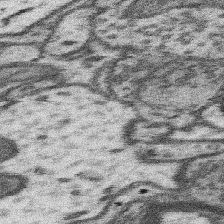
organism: Mouse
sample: Somatosensory cortex neuropil